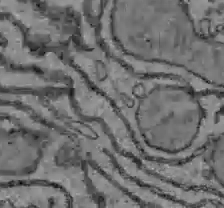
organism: C57BL Mouse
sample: Liver